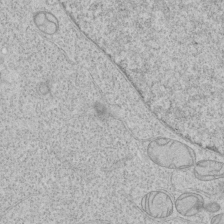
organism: Human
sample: Mitochondria in HCT116 cells